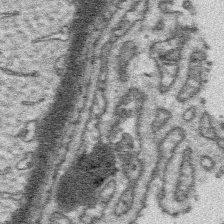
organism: Platynereis dumerilii